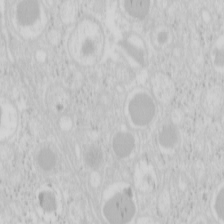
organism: Mouse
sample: Pancreas